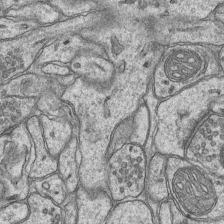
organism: Mouse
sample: CA1 Hippocampus